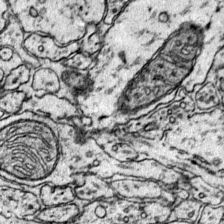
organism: Mouse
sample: Primary visual cortex